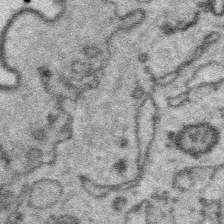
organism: Platynereis dumerilii